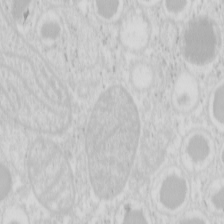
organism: Mouse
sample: Pancreas